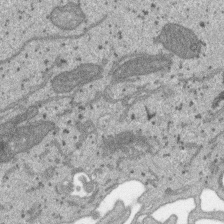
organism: Human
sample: Lung epithelial cells infected with SARS-CoV-2